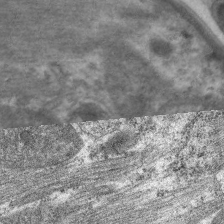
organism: C. elegans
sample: Pharynx